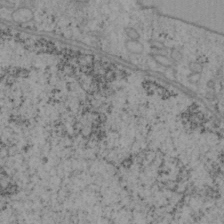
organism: Human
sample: HeLa cells